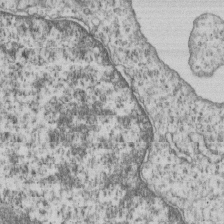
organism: Human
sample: MDA-MB-231 cells